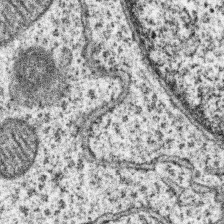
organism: Human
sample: HeLa cells